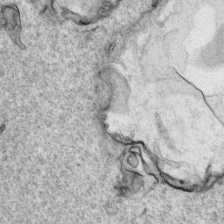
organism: Human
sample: Mitochondria in HCT116 cells